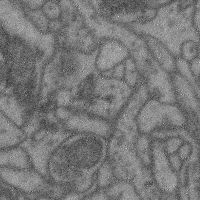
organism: Mouse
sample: Cerebral cortex